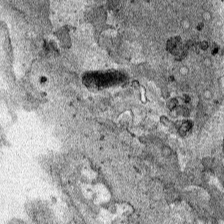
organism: Human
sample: Mitochondria in HCT116 cells